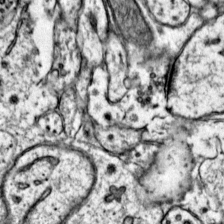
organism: Mouse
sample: Primary visual cortex